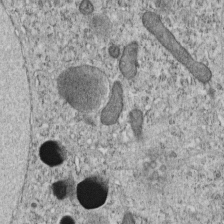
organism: C. elegans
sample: C. elegans embryo early stage